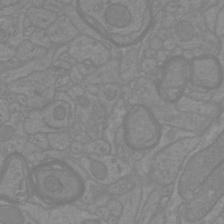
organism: Mouse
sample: Cortical neurons